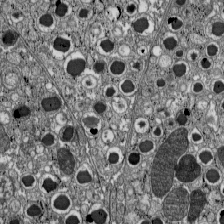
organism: C57BL Mouse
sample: Pancreatic islet